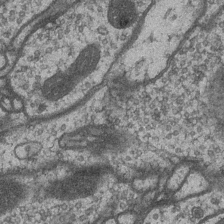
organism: Drosophila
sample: Optic medulla